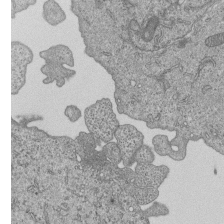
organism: Human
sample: MDA-MB-231 cells